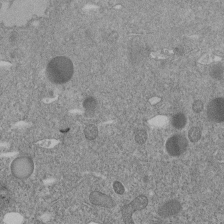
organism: C. elegans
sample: C. elegans embryo early stage